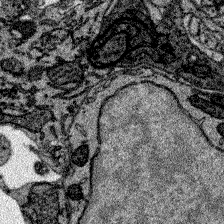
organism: Zebrafish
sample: Larval olfactory bulb